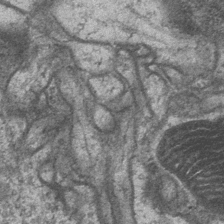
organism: Drosophila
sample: Optic medulla